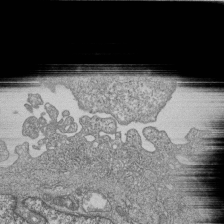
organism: Human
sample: MDA-MB-231 cells